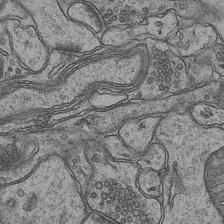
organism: Mouse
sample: CA1 Hippocampus